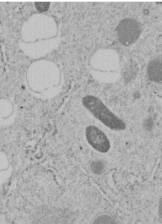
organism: C. elegans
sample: C. elegans embryo early stage